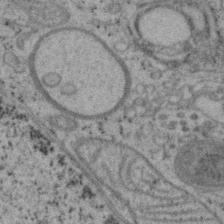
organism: Human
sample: HeLa cells